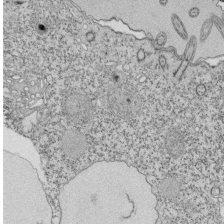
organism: Tetrahymena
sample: Cilia in tetrahymena